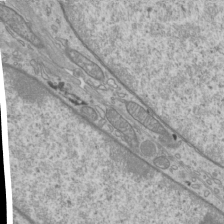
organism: Mouse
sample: Cilia; mouse epididymis